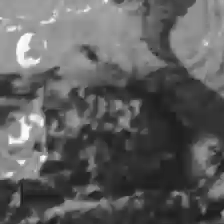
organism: C57BL Mouse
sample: Liver